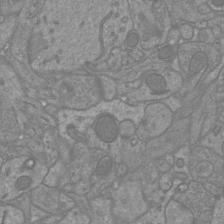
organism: Mouse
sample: Cortical neurons